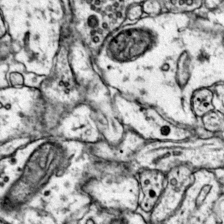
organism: Mouse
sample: Primary visual cortex